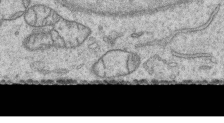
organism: Human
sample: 1205lu cells